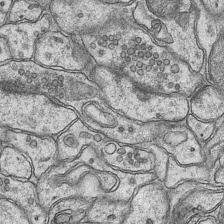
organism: Mouse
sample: CA1 Hippocampus